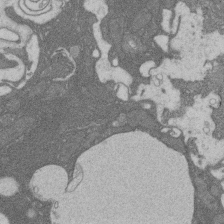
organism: Rat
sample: Salivary granule